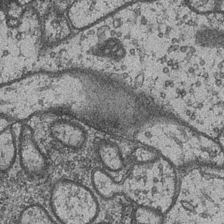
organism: Drosophila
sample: Optic medulla